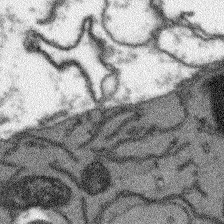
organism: Arabidopsis thaliana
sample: Root tip